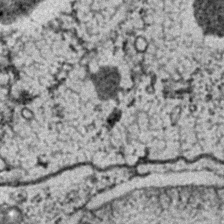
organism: C. elegans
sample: C. elegans embryo